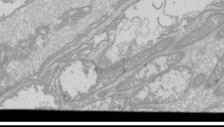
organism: Drosophila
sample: Cell division; meiosis; drosophila spermatocytes